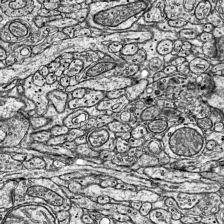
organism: Mouse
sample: Visual Cortex